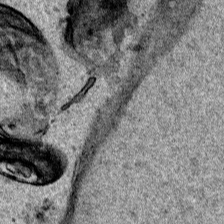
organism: Human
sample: Mitochondria in HCT116 cells